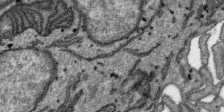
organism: Human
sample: Lung epithelial cells, uninfected (mock) control